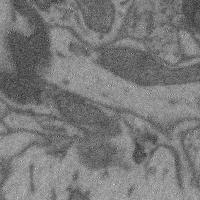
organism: Mouse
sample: Cerebral cortex